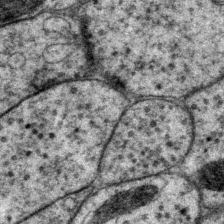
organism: P. pacificus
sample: Pharynx